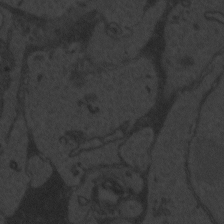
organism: Zebrafish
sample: Macrophage infected with Toxoplasma gondii